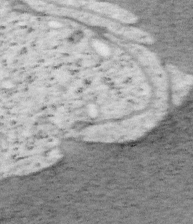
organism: Mouse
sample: OT-I killer T cells with ID8 ovarian cancer cells